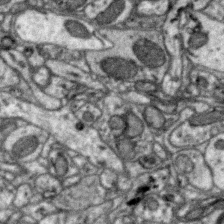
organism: Zebra finch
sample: Brain